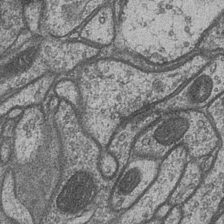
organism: Drosophila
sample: Optic medulla